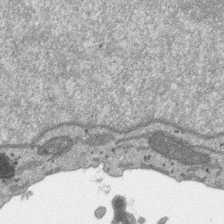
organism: Human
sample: Lung epithelial cells infected with SARS-CoV-2